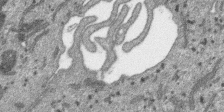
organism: Human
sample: Lung epithelial cells infected with SARS-CoV-2